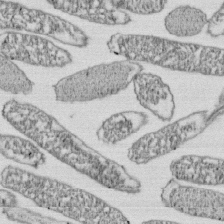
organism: E. coli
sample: Bacterial nucleoid